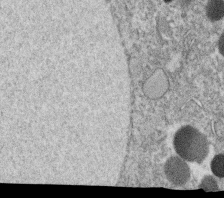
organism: C. elegans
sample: C. elegans oocyte; sperm cells